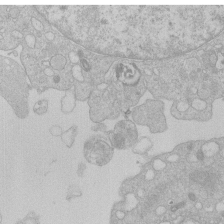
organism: Human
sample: Macrophage cells